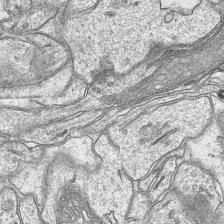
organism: Mouse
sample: CA1 Hippocampus